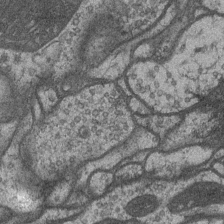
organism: Drosophila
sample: Optic medulla